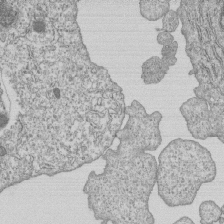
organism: Human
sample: MDA-MB-231 cells